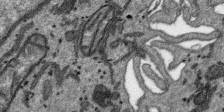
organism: Human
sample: Lung epithelial cells, uninfected (mock) control